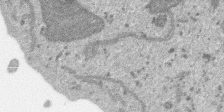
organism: Human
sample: Lung epithelial cells infected with SARS-CoV-2